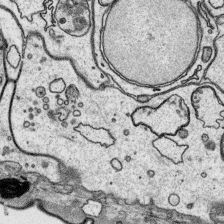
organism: Platynereis dumerilii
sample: Parapodia